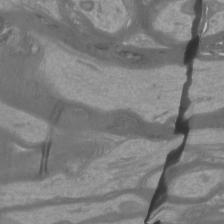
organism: Mouse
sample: Cortical neurons